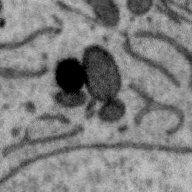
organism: Zebra finch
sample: Brain